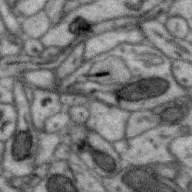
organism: Zebra finch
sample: Brain